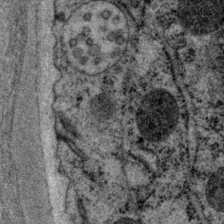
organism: P. pacificus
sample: Pharynx